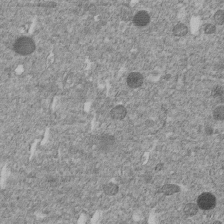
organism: C. elegans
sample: C. elegans embryo early stage